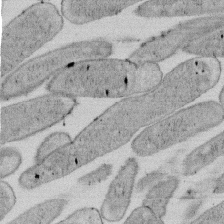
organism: E. coli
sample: Bacterial nucleoid